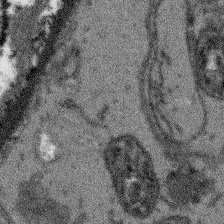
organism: Arabidopsis thaliana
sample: Root tip